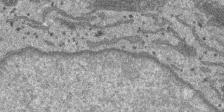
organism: Human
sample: Lung epithelial cells infected with SARS-CoV-2